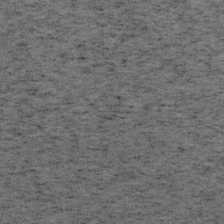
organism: Mouse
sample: OT-I killer T cells with ID8 ovarian cancer cells